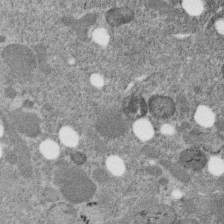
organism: C. elegans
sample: C. elegans embryo early stage